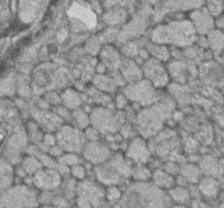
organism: Zebrafish